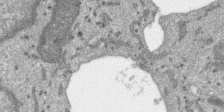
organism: Human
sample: Lung epithelial cells infected with SARS-CoV-2